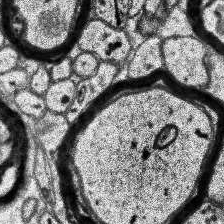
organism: Human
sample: Temporal Lobe